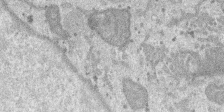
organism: Human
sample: Lung epithelial cells infected with SARS-CoV-2